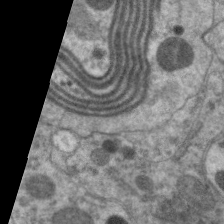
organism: C. elegans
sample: Pharynx